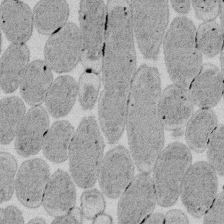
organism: E. coli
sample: Bacterial nucleoid